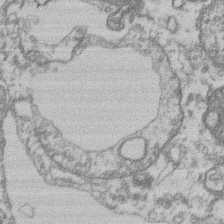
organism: Mouse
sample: T cell stromal cell synapse